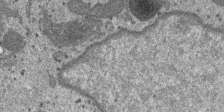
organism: Human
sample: Lung epithelial cells infected with SARS-CoV-2